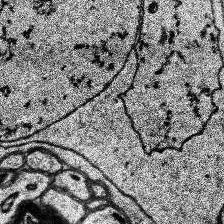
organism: Human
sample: Temporal Lobe